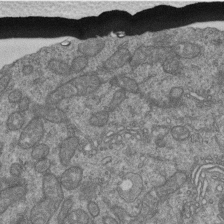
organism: Human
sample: Retinal organoid Rod and Cone cells